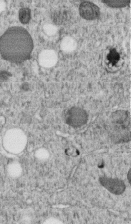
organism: C. elegans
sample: C. elegans embryo early stage